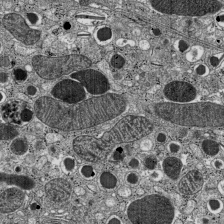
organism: C57BL Mouse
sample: Pancreatic islet